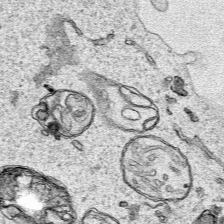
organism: Human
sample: Mitochondria in HCT116 cells